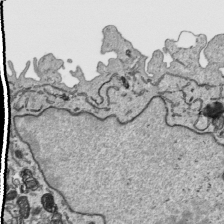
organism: Human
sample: Mitochondria in HCT116 cells